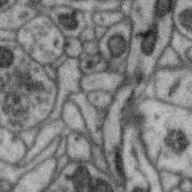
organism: Zebra finch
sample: Brain